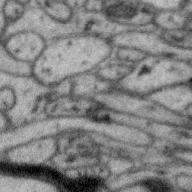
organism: Zebra finch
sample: Brain